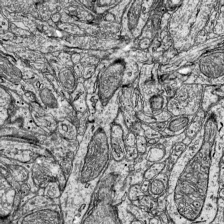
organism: Mouse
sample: Visual Cortex